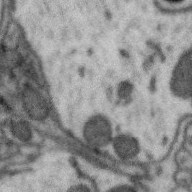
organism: Zebra finch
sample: Brain